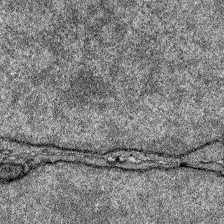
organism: Zebrafish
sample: Larval olfactory bulb